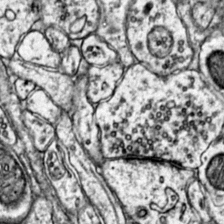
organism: Mouse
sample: Primary visual cortex